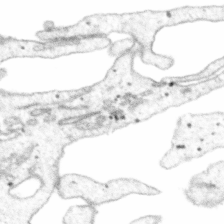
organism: Human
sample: HeLa cells